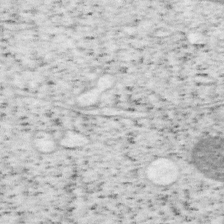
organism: Mouse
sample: OT-I killer T cells with ID8 ovarian cancer cells